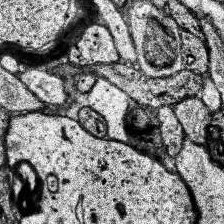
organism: Human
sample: Temporal Lobe